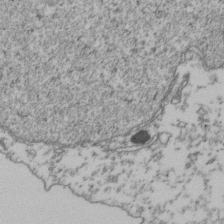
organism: Human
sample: Activated Jurkat CD4+ T cells